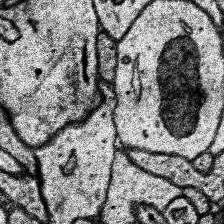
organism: Human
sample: Temporal Lobe